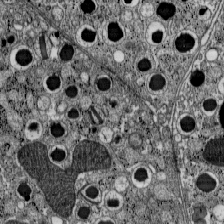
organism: C57BL Mouse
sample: Pancreatic islet